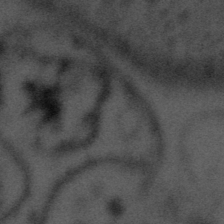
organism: Tuwongella immobilis